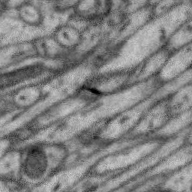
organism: Zebra finch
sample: Brain